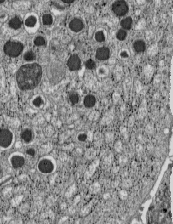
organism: C57BL Mouse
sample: Pancreatic islet